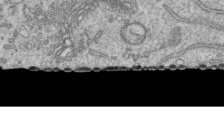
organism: Human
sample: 1205lu cells